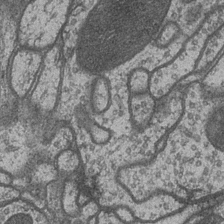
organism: Drosophila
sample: Optic medulla